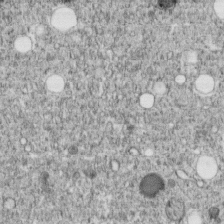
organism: C. elegans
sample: C. elegans embryo early stage